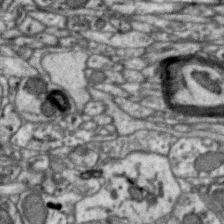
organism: Zebra finch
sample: Brain